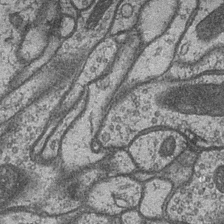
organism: Drosophila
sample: Optic medulla